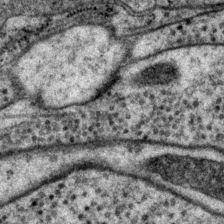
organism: P. pacificus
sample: Pharynx